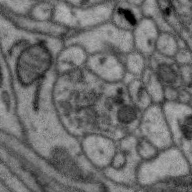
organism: Zebra finch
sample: Brain